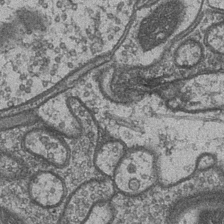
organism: Drosophila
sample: Optic medulla